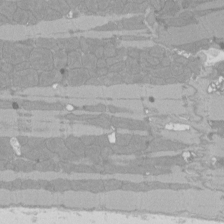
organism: Rat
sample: Left ventricle